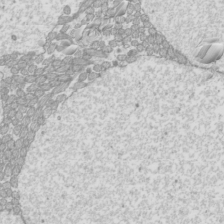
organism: Mouse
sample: Cilia; mouse epididymis